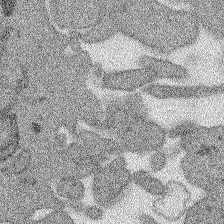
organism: Human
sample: HeLa cells